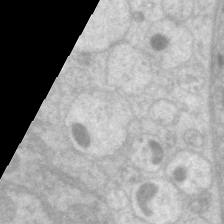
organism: C. elegans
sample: Pharynx